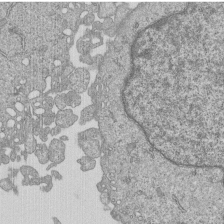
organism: Human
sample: MDA-MB-231 cells